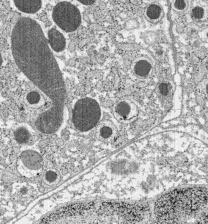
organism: C57BL Mouse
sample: Pancreatic islet